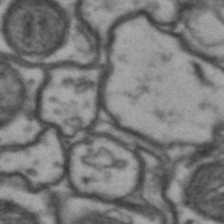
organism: Drosophila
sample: Brain